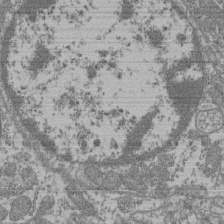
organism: Mouse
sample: Glomerulus